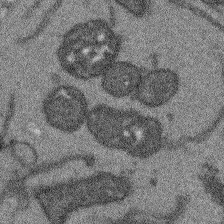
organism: Arabidopsis thaliana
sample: Root tip